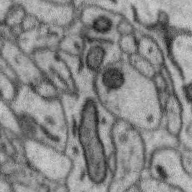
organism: Zebra finch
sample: Brain